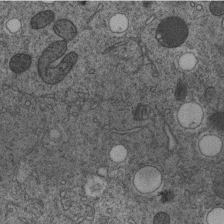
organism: C. elegans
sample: C. elegans embryo early stage